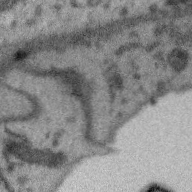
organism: Zebra finch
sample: Brain